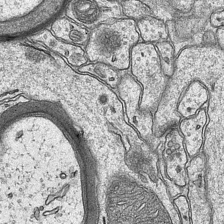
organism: Mouse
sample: CA1 Hippocampus